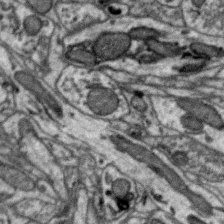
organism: Zebra finch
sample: Brain